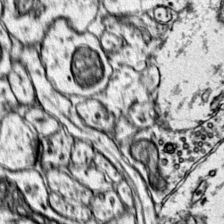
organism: Mouse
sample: Primary visual cortex